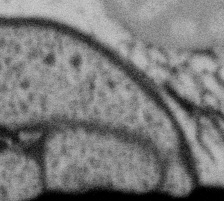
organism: Gemmata obscuriglobus